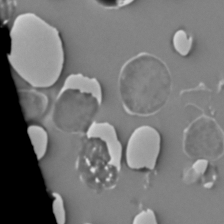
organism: C. elegans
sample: C. elegans embryo